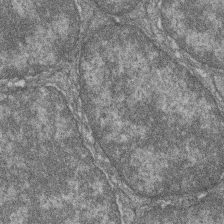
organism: Zebrafish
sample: Cilia; retinal pigment epithelium